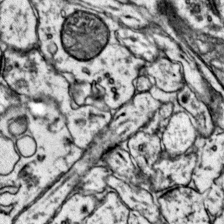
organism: Mouse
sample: Primary visual cortex